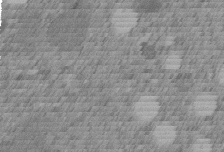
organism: C. elegans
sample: C. elegans embryo early stage